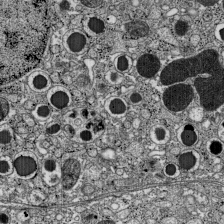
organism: C57BL Mouse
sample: Pancreatic islet